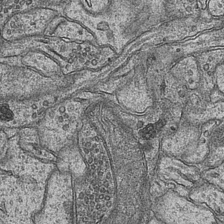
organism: Mouse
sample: CA1 Hippocampus